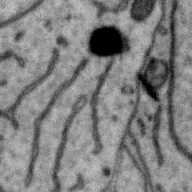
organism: Zebra finch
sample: Brain